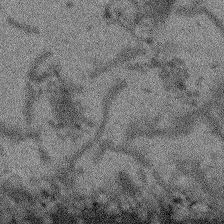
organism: Arabidopsis thaliana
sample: Root tip